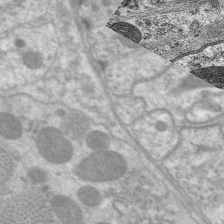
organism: C. elegans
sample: Pharynx